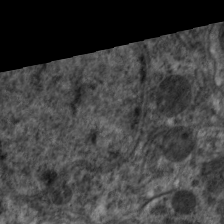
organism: C. elegans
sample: Pharynx